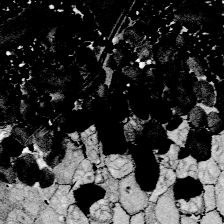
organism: Zebrafish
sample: Whole-Brain